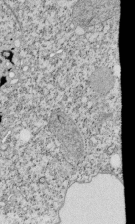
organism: Tetrahymena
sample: Cilia in tetrahymena